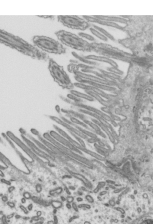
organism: Mouse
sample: Mouse epididymis efferent ductule cilia